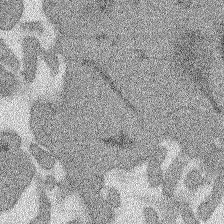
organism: Human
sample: HeLa cells